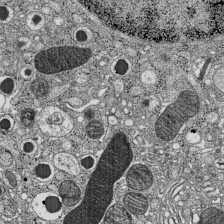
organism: C57BL Mouse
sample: Pancreatic islet